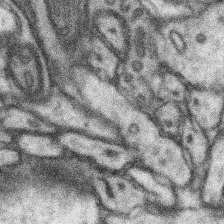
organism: Mouse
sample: Somatosensory cortex neuropil